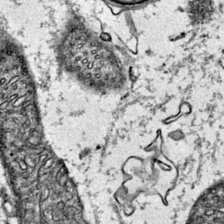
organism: Mouse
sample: Primary visual cortex